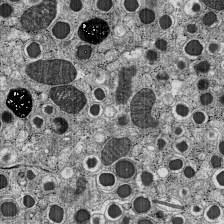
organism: C57BL Mouse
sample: Pancreatic islet